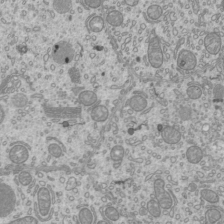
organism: Mouse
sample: Cilia; mouse epididymis